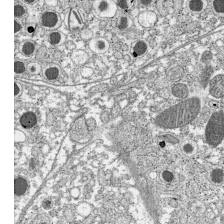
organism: C57BL Mouse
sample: Pancreatic islet